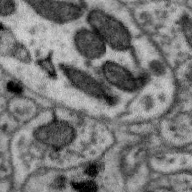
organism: Zebra finch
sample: Brain